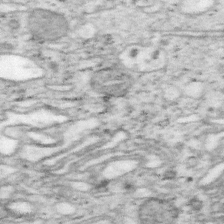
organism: Mouse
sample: OT-I killer T cells with ID8 ovarian cancer cells